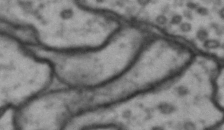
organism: Drosophila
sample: Brain